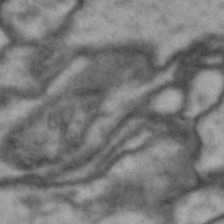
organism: Drosophila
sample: Brain